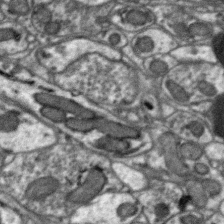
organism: Zebra finch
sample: Brain